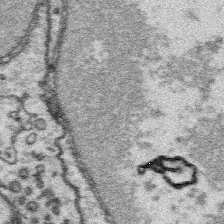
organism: Platynereis dumerilii